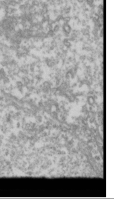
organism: Drosophila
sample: Cell division; meiosis; drosophila spermatocytes